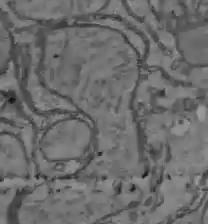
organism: C57BL Mouse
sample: Liver